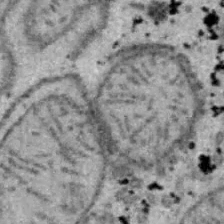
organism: Mouse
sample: Liver from an obese (ob/ob) mouse